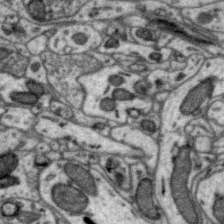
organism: Zebra finch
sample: Brain